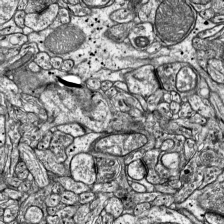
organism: Mouse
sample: Visual Cortex